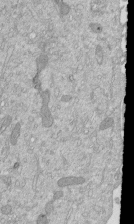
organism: Mouse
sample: ED-1 cell nuclei; centrioles